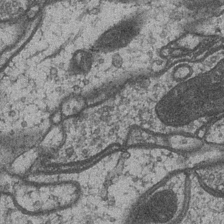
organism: Drosophila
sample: Optic medulla